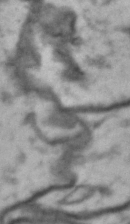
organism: Drosophila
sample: Brain